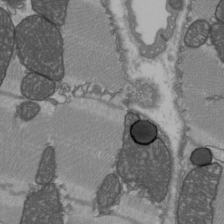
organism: C57BL Mouse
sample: Heart